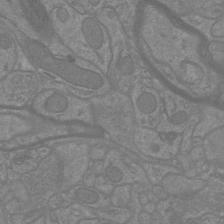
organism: Mouse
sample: Cortical neurons